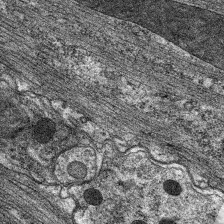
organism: C. elegans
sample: Pharynx